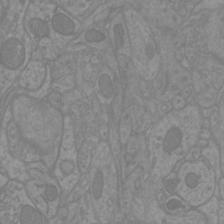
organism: Mouse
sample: Cortical neurons